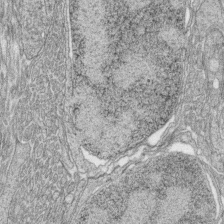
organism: Zebrafish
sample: synaptic ribbons in rod cells and cone cells